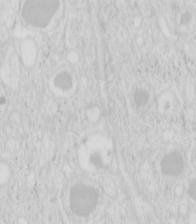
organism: Mouse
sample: Pancreas